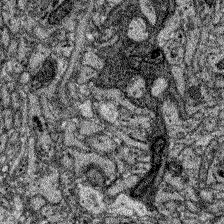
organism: Zebrafish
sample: Larval olfactory bulb